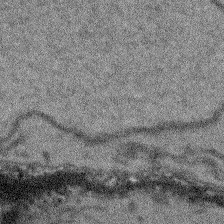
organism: Arabidopsis thaliana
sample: Root tip